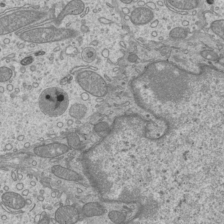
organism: Mouse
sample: Cilia; mouse epididymis